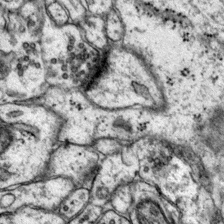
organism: Mouse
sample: Primary visual cortex